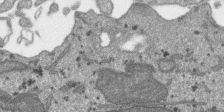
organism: Human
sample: Lung epithelial cells infected with SARS-CoV-2